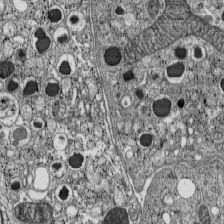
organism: C57BL Mouse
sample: Pancreatic islet